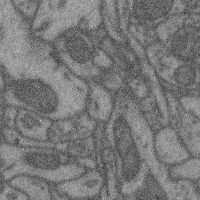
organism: Mouse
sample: Cerebral cortex